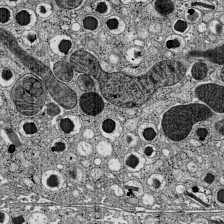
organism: C57BL Mouse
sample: Pancreatic islet